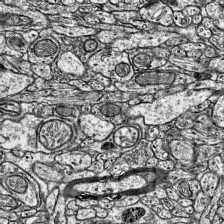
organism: Mouse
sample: Visual Cortex